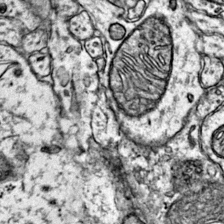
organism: Mouse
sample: Primary visual cortex